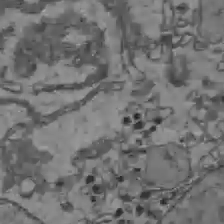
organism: C57BL Mouse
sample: Liver